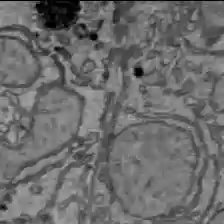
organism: C57BL Mouse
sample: Liver